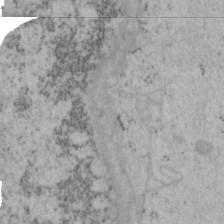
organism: Human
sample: HeLa cells